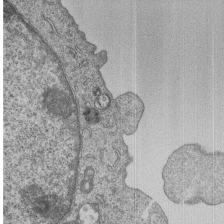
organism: Human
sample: MDA-MB-231 cells